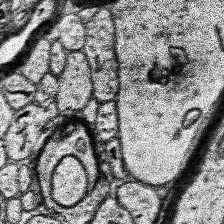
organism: Human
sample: Temporal Lobe